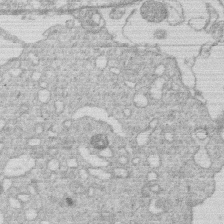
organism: Human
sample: Macrophage cells